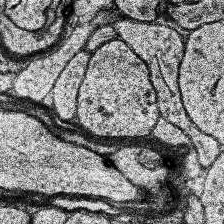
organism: Human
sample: Temporal Lobe